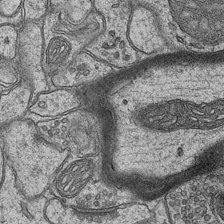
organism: Mouse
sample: CA1 Hippocampus